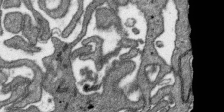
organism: Human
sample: Lung epithelial cells, uninfected (mock) control